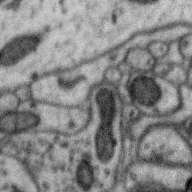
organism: Zebra finch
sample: Brain